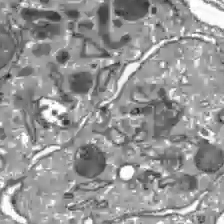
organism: C57BL Mouse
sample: Liver